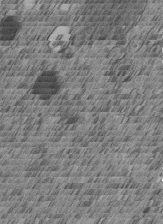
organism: C. elegans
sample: C. elegans embryo early stage